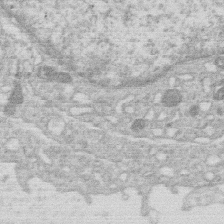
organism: Human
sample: Macrophage cells